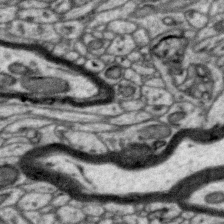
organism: Zebra finch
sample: Brain